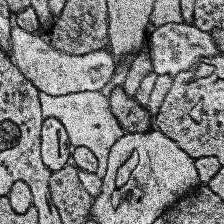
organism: Human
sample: Temporal Lobe